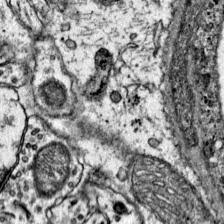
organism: Mouse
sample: Primary visual cortex